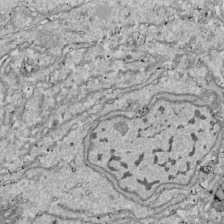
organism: Drosophila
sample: Cell division; meiosis; drosophila spermatocytes